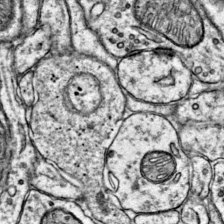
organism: Mouse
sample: Primary visual cortex